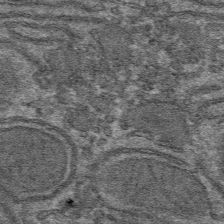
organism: Mouse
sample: Mouse hepatocytes